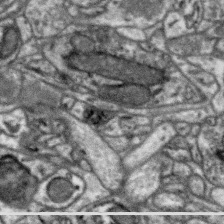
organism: Zebra finch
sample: Brain